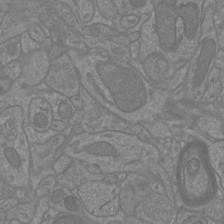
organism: Mouse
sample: Cortical neurons